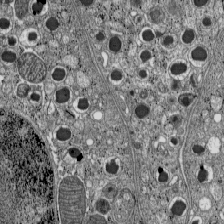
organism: C57BL Mouse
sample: Pancreatic islet